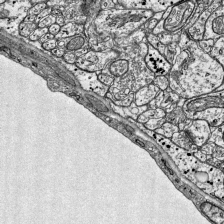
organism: Mouse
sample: Visual Cortex